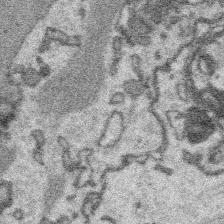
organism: Platynereis dumerilii